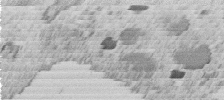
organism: C. elegans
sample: C. elegans embryo early stage